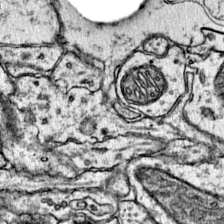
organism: Mouse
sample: Primary visual cortex